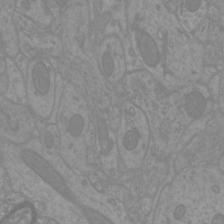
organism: Mouse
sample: Cortical neurons